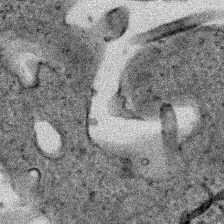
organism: Human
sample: Mitochondria in HCT116 cells